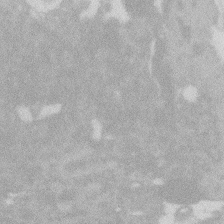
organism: Zebrafish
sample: Macrophage